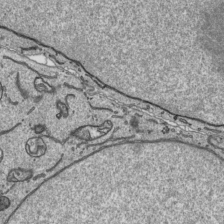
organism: Human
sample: Mitochondria in HCT116 cells